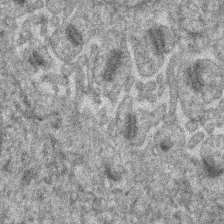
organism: Human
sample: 1205lu cells